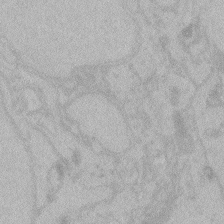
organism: Zebrafish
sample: Macrophage infected with Toxoplasma gondii